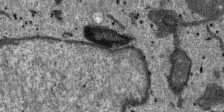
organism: Human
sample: Lung epithelial cells, uninfected (mock) control